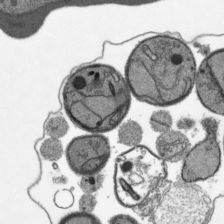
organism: Plasmodium falciparum